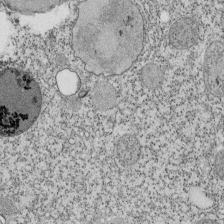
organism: Tetrahymena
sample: Cilia in tetrahymena